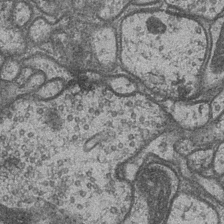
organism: Drosophila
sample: Optic medulla